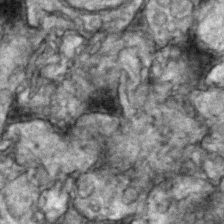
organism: Zebrafish